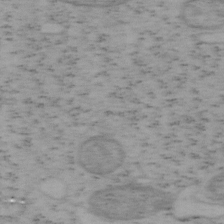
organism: Mouse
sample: OT-I killer T cells with ID8 ovarian cancer cells